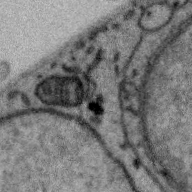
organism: Zebra finch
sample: Brain